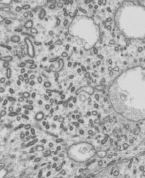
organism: Mouse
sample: Mouse epididymis efferent ductule cilia